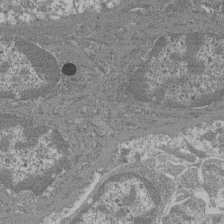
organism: Mouse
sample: Glomerulus